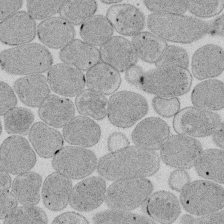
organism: E. coli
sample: Bacterial nucleoid